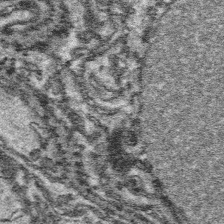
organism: Platynereis dumerilii